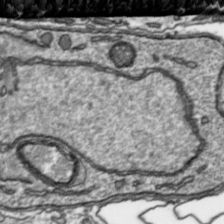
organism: Toxoplasma gondii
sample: Parasites in a vacuole inside a host cell